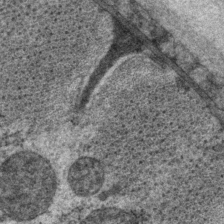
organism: P. pacificus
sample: Pharynx